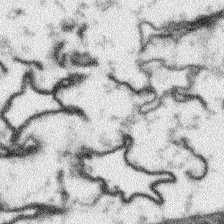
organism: Arabidopsis thaliana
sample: Root tip